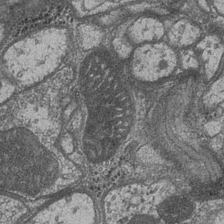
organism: Drosophila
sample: Optic medulla